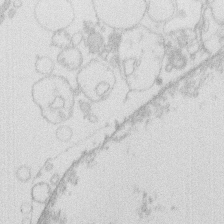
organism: Human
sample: Macrophage cells